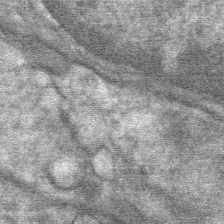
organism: Mouse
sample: Mouse Salivary gland